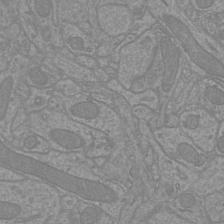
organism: Mouse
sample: Cortical neurons